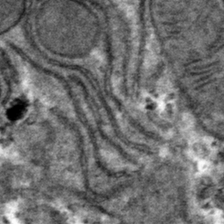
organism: Mouse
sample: Mouse hepatocytes